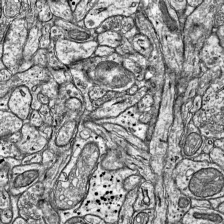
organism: Mouse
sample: Visual Cortex